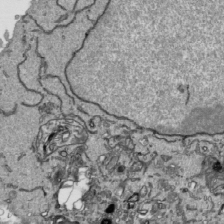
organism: Human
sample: Mitochondria in HCT116 cells